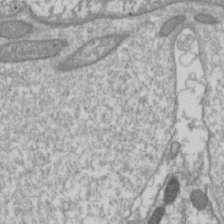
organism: Drosophila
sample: Cell division; meiosis; drosophila spermatocytes